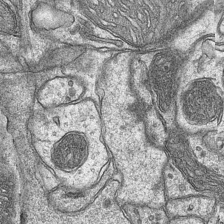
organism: Mouse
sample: CA1 Hippocampus